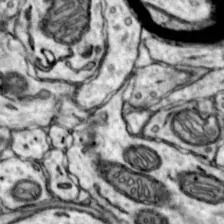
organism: Mouse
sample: Nucleus accumbens